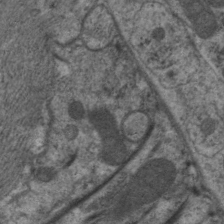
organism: C. elegans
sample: Pharynx